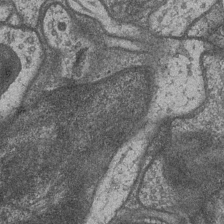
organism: Drosophila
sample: Optic medulla